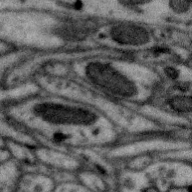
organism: Zebra finch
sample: Brain